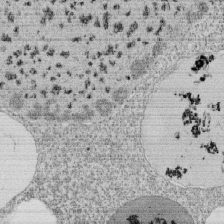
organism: Tetrahymena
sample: Cilia in tetrahymena